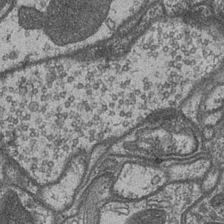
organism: Drosophila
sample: Optic medulla